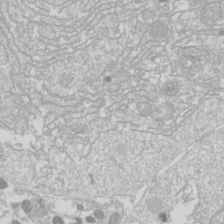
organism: Drosophila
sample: Cell division; meiosis; drosophila spermatocytes